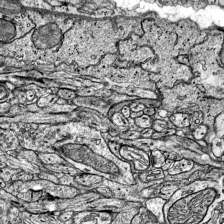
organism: Mouse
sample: Visual Cortex